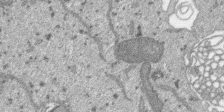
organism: Human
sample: Lung epithelial cells infected with SARS-CoV-2